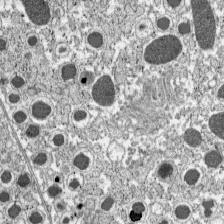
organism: C57BL Mouse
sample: Pancreatic islet